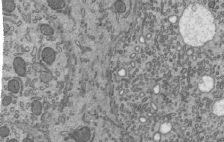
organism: Mouse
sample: Mouse epididymis efferent ductule cilia